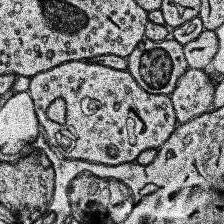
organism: Human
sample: Temporal Lobe